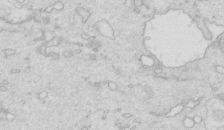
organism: Mouse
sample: Multiciliated cells